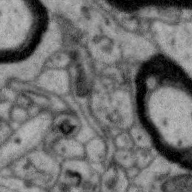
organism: Zebra finch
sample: Brain